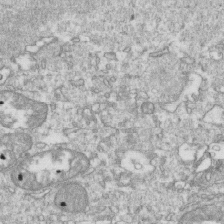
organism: Mouse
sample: Activated OT-1 CD8+ T cells